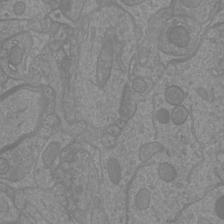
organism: Mouse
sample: Cortical neurons